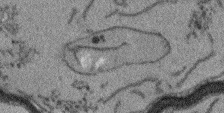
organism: Arabidopsis thaliana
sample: Root tip